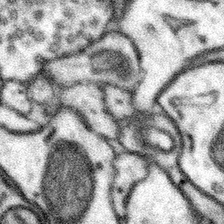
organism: Mouse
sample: Somatosensory cortex neuropil